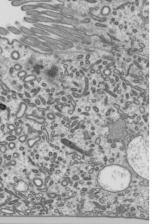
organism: Mouse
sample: Mouse epididymis efferent ductule cilia